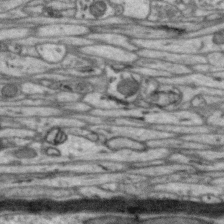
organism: Zebra finch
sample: Brain